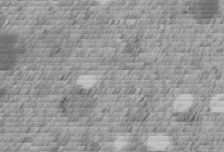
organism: C. elegans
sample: C. elegans embryo early stage